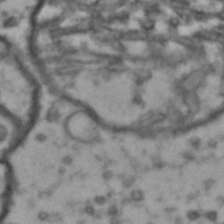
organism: Drosophila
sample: Brain